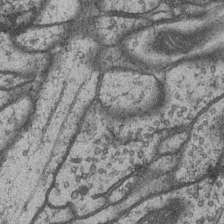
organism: Drosophila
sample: Optic medulla